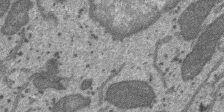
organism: Human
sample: Lung epithelial cells infected with SARS-CoV-2